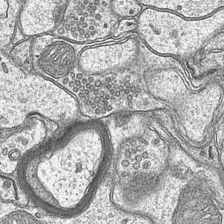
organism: Mouse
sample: CA1 Hippocampus